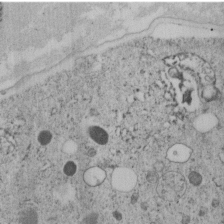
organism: C. elegans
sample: C. elegans embryo early stage